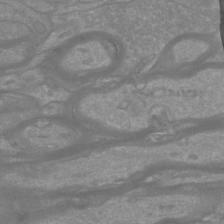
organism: Mouse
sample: Cortical neurons